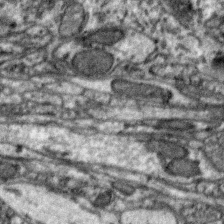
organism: Zebra finch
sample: Brain